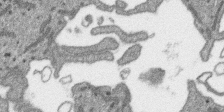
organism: Human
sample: Lung epithelial cells infected with SARS-CoV-2